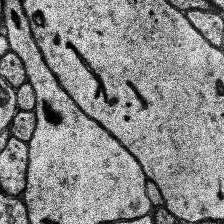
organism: Human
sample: Temporal Lobe